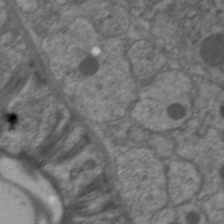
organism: C. elegans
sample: Pharynx